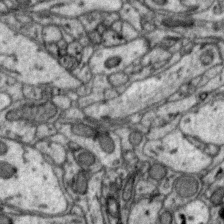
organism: Zebra finch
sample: Brain